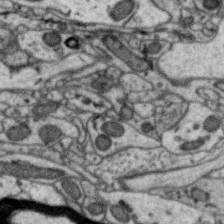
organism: Zebra finch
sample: Brain